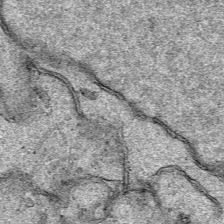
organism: Human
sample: Mitochondria in HCT116 cells